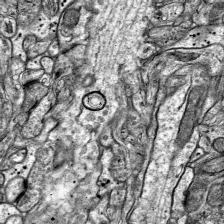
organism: Mouse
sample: Visual Cortex